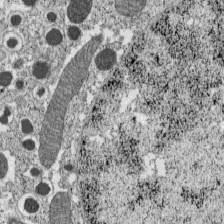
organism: C57BL Mouse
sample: Pancreatic islet